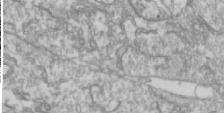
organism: Drosophila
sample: Cell division; meiosis; drosophila spermatocytes